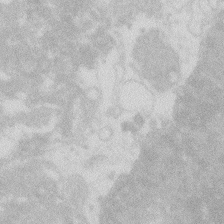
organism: Zebrafish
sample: Macrophage